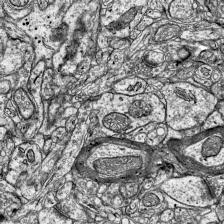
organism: Mouse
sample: Visual Cortex